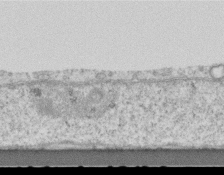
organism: Mouse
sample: Centriole in ependymal cells